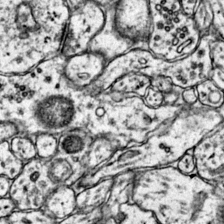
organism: Mouse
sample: Primary visual cortex